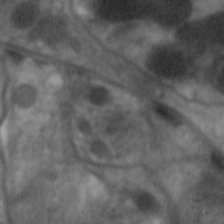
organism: C. elegans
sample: Pharynx